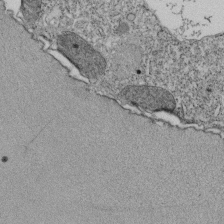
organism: Tetrahymena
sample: Cilia in tetrahymena